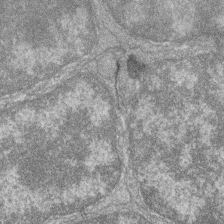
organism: Zebrafish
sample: Cilia; retinal pigment epithelium